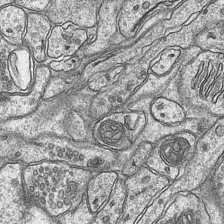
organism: Mouse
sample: CA1 Hippocampus